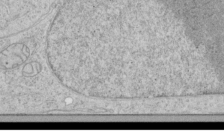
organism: Human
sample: Mitochondria in HCT116 cells